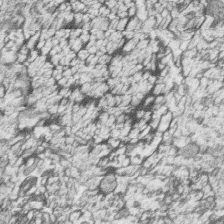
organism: Zebrafish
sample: synaptic ribbons in rod cells and cone cells